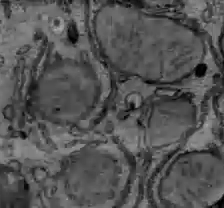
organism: C57BL Mouse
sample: Liver